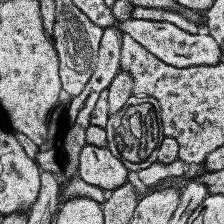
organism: Human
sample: Temporal Lobe